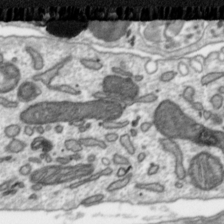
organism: Toxoplasma gondii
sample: Parasites in a vacuole inside a host cell